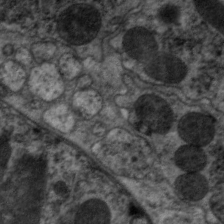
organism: C. elegans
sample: Pharynx